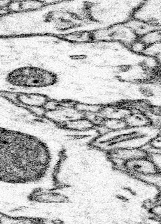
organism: Mouse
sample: Somatosensory cortex neuropil